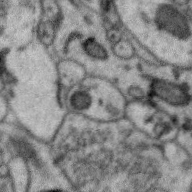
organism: Zebra finch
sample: Brain